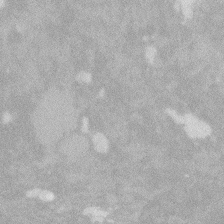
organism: Zebrafish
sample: Macrophage